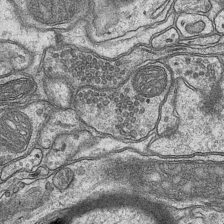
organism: Mouse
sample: CA1 Hippocampus